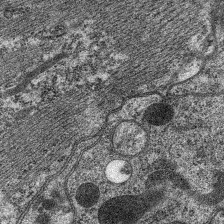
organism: C. elegans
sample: Pharynx